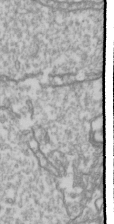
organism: Drosophila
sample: Cell division; meiosis; drosophila spermatocytes